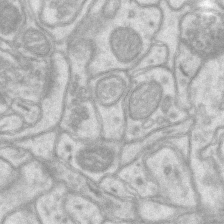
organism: Mouse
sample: CA1 Hippocampus